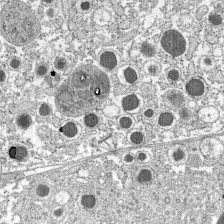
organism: C57BL Mouse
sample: Pancreatic islet